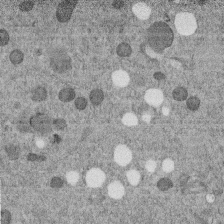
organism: C. elegans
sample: C. elegans embryo early stage